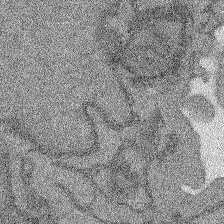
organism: Human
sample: HeLa cells